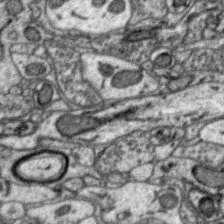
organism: Zebra finch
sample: Brain